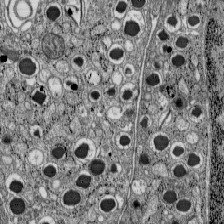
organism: C57BL Mouse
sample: Pancreatic islet